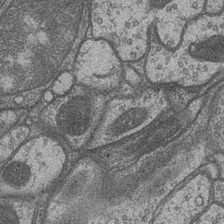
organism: Drosophila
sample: Optic medulla